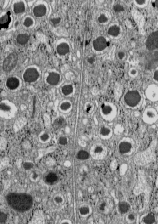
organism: C57BL Mouse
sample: Pancreatic islet